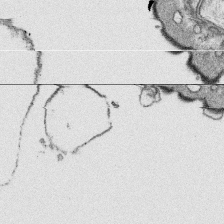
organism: Platynereis dumerilii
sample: Parapodia